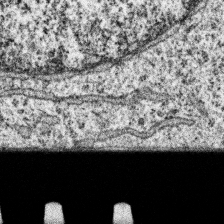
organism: Human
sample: HeLa cells